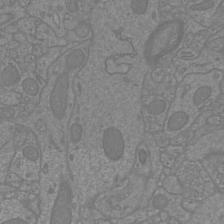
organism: Mouse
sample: Cortical neurons